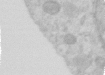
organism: Human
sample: Centriole in RPE cells